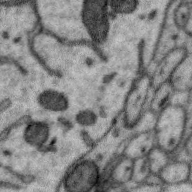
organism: Zebra finch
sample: Brain